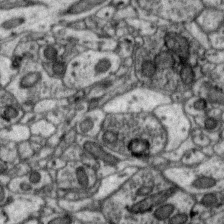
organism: Zebra finch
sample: Brain